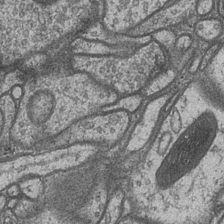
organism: Drosophila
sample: Optic medulla